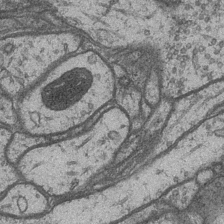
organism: Drosophila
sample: Optic medulla